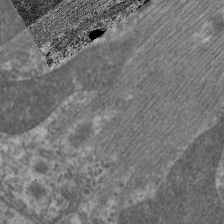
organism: C. elegans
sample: Pharynx